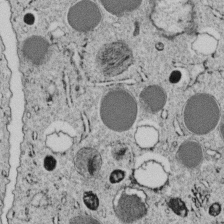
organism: C. elegans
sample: C. elegans embryo early stage